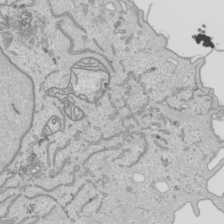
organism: Human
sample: Mitochondria in HCT116 cells